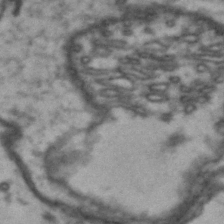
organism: Drosophila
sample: Brain